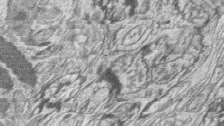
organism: Zebrafish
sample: synaptic ribbons in rod cells and cone cells